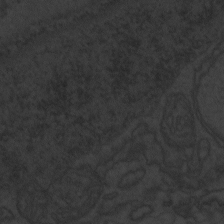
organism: Zebrafish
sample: Macrophage infected with Toxoplasma gondii